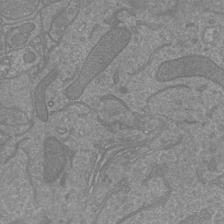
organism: Mouse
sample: Cortical neurons